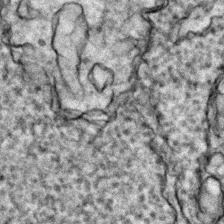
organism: Zebrafish